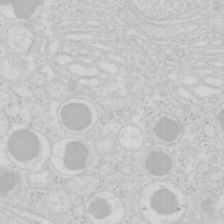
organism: Mouse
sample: Pancreas